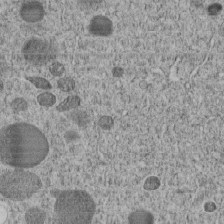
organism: C. elegans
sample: C. elegans embryo early stage